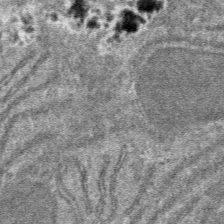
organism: Mouse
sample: Mouse hepatocytes